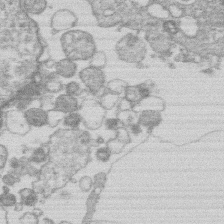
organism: Human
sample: Macrophage cells